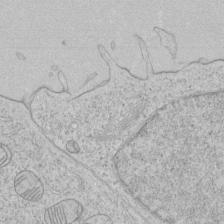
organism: Human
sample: Mitochondria in HCT116 cells